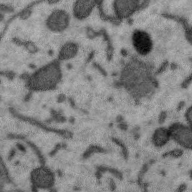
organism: Zebra finch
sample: Brain